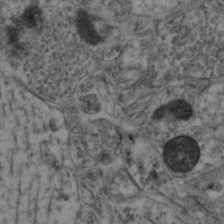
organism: Mouse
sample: Neocortex